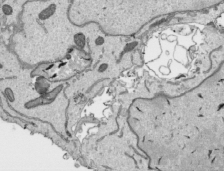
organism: Human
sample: Mitochondria in HCT116 cells